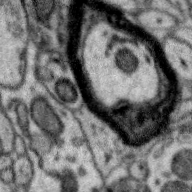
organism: Zebra finch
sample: Brain